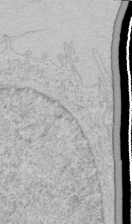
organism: Human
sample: Mitochondria in HCT116 cells